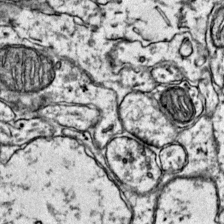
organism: Mouse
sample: Primary visual cortex